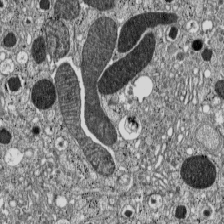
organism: C57BL Mouse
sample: Pancreatic islet